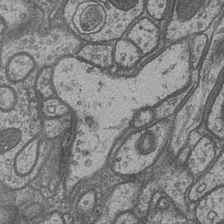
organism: Drosophila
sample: Optic medulla